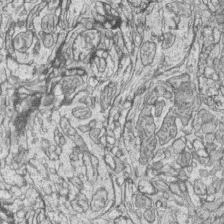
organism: Zebrafish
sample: synaptic ribbons in rod cells and cone cells